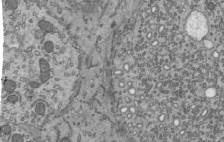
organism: Mouse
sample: Mouse epididymis efferent ductule cilia